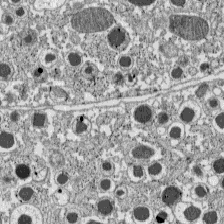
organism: C57BL Mouse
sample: Pancreatic islet